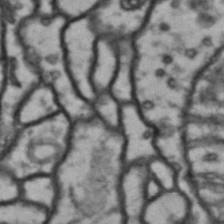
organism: Drosophila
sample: Brain